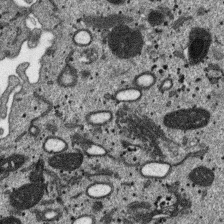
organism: Human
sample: Lung epithelial cells infected with SARS-CoV-2